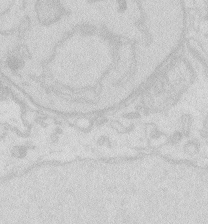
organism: Zebrafish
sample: Macrophage